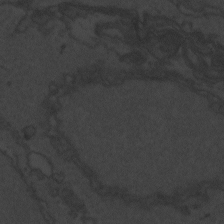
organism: Zebrafish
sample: Macrophage infected with Toxoplasma gondii